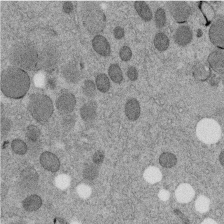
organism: C. elegans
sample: C. elegans embryo early stage